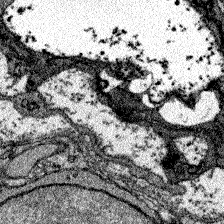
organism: Zebrafish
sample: Larval olfactory bulb